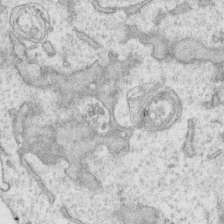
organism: Human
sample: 1205lu cells